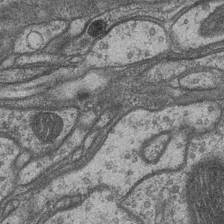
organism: Drosophila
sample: Optic medulla